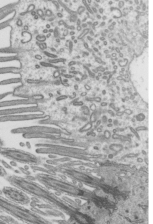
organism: Mouse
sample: Mouse epididymis efferent ductule cilia